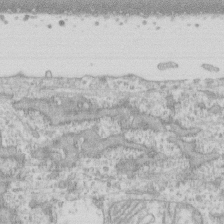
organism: Human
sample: CRL-1474